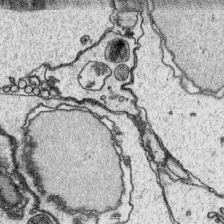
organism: Platynereis dumerilii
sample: Parapodia